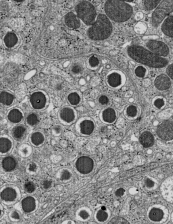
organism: C57BL Mouse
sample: Pancreatic islet